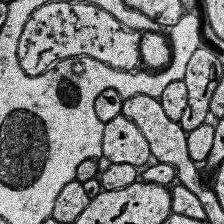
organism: Human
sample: Temporal Lobe